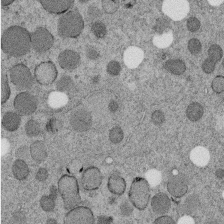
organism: C. elegans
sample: C. elegans embryo early stage